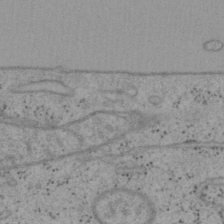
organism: Human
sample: HeLa cells